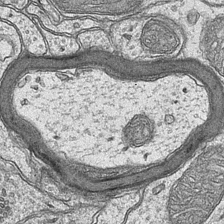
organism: Mouse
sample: CA1 Hippocampus